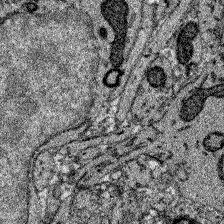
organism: Zebrafish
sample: Larval olfactory bulb